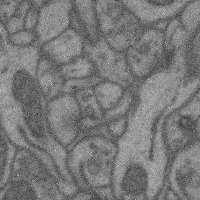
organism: Mouse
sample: Cerebral cortex